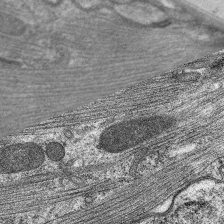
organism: C. elegans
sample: Pharynx